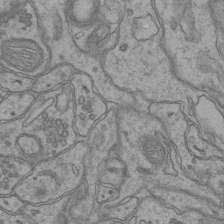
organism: Mouse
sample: CA1 Hippocampus